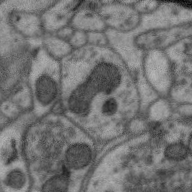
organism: Zebra finch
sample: Brain